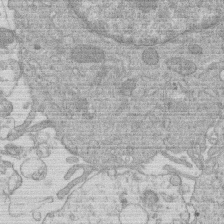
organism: Human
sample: Macrophage cells